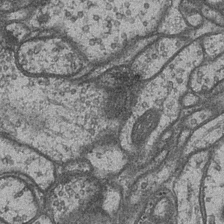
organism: Drosophila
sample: Optic medulla